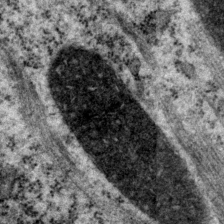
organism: P. pacificus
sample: Pharynx